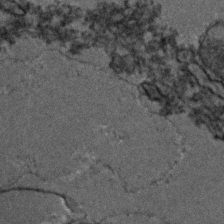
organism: Zebrafish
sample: Zebrafish embryo